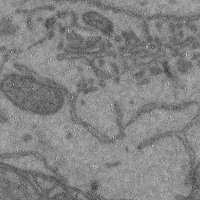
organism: Mouse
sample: Cerebral cortex